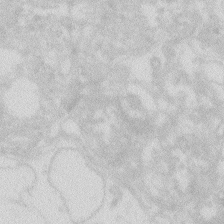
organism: Zebrafish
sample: Macrophage